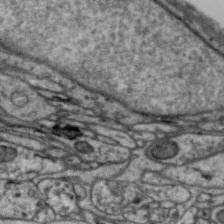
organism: Zebra finch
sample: Brain